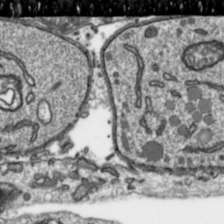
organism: Toxoplasma gondii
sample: Parasites in a vacuole inside a host cell